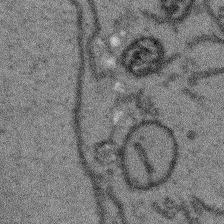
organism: Arabidopsis thaliana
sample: Root tip